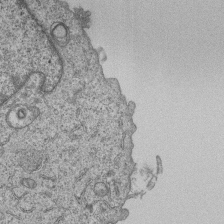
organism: Human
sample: MDA-MB-231 cells